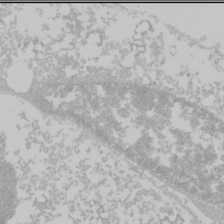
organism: Mouse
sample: Cancer cell death in ED-1 cells